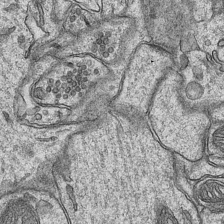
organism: Mouse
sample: CA1 Hippocampus